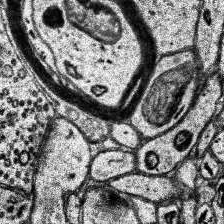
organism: Human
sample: Temporal Lobe